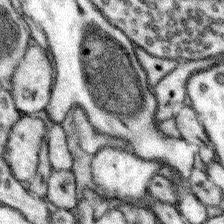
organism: Mouse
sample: Somatosensory cortex neuropil